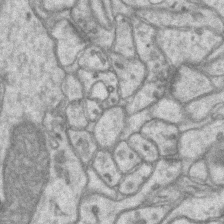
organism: Mouse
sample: CA1 Hippocampus